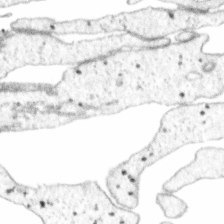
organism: Human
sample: HeLa cells